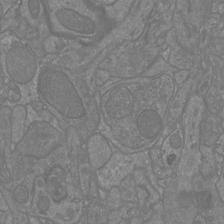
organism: Mouse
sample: Cortical neurons